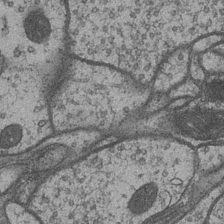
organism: Drosophila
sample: Optic medulla